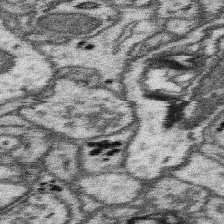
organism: Mouse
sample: Somatosensory cortex neuropil